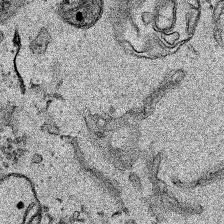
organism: Human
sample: Mitochondria in HCT116 cells